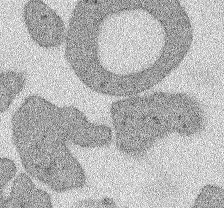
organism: Human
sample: HeLa cells